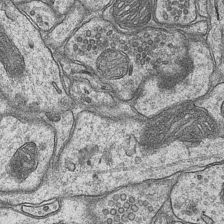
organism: Mouse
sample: CA1 Hippocampus